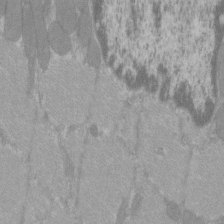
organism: C57BL Mouse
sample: Tibialis anterior muscle cell